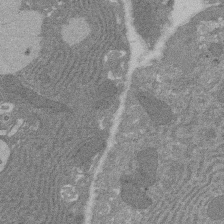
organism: Rat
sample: Salivary granule